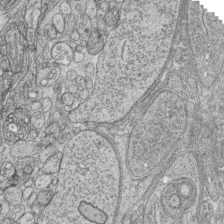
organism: Zebrafish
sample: synaptic ribbons in rod cells and cone cells